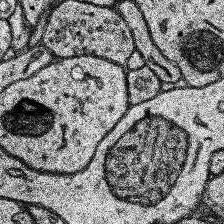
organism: Human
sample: Temporal Lobe